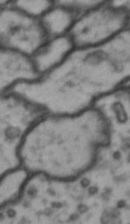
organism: Drosophila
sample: Brain